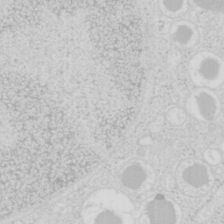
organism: Mouse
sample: Pancreas